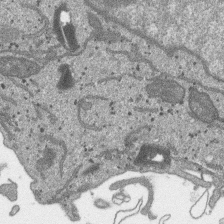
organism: Human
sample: Lung epithelial cells infected with SARS-CoV-2